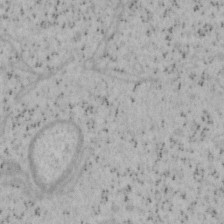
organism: Human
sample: HeLa cells